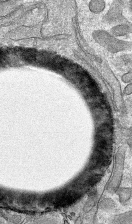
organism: Mouse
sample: Mouse hepatocytes